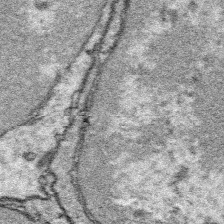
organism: Platynereis dumerilii